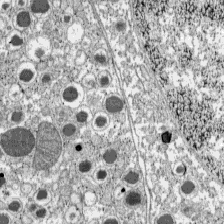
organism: C57BL Mouse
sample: Pancreatic islet